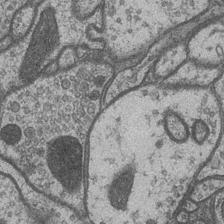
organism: Drosophila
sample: Optic medulla